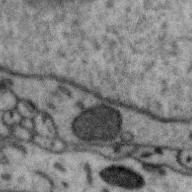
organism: Zebra finch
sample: Brain